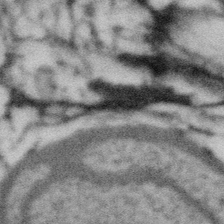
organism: Gemmata obscuriglobus